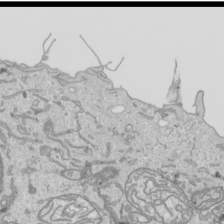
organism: Human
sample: Mitochondria in HCT116 cells